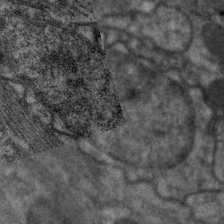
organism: C. elegans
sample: Pharynx